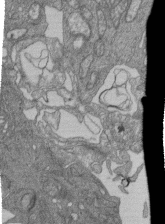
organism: Human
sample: Retinal organoid Rod and Cone cells